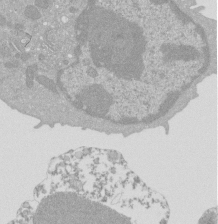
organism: Mouse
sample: Activated Pmel transgenic CD8+ T Cells